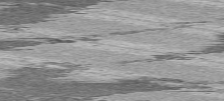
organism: C57BL Mouse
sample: Heart